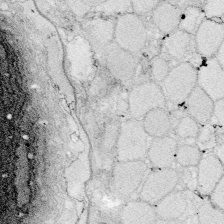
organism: Zebrafish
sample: Whole-Brain